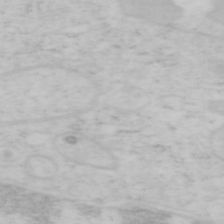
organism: Mouse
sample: OT-I killer T cells with ID8 ovarian cancer cells